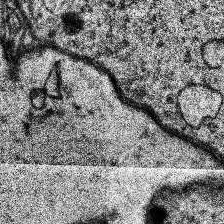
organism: Human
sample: Temporal Lobe